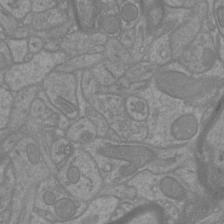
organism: Mouse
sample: Cortical neurons